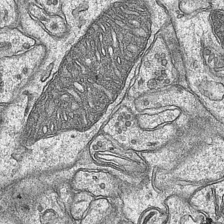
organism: Mouse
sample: CA1 Hippocampus